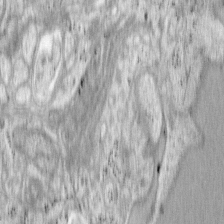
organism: Human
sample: HeLa cells